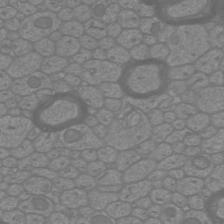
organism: Mouse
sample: Cortical neurons